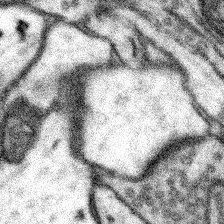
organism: Mouse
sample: Somatosensory cortex neuropil